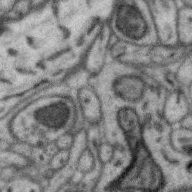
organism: Zebra finch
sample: Brain